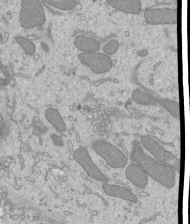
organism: Mouse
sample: Cilia; mouse epididymis